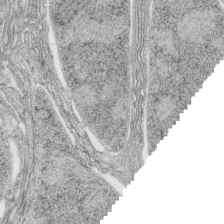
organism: Zebrafish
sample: synaptic ribbons in rod cells and cone cells